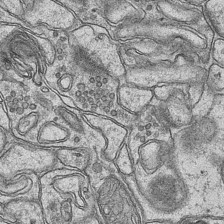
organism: Mouse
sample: CA1 Hippocampus